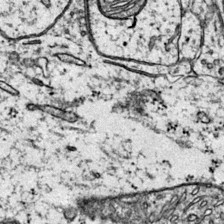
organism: Mouse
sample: Primary visual cortex